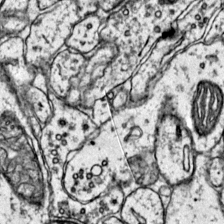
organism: Mouse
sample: Primary visual cortex